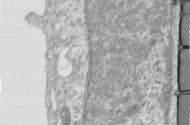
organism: Human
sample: Centriole in RPE cells